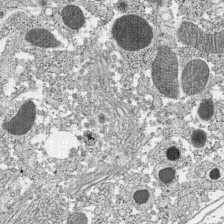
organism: C57BL Mouse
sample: Pancreatic islet